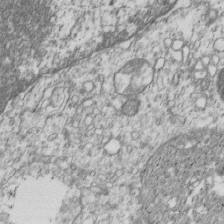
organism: Human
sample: MDA-MB-231 cells